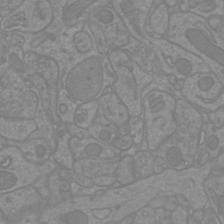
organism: Mouse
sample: Cortical neurons